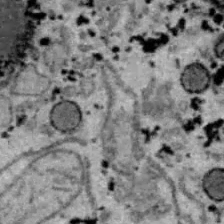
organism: Mouse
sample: Liver from an obese (ob/ob) mouse